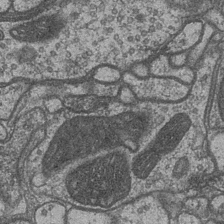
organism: Drosophila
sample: Optic medulla